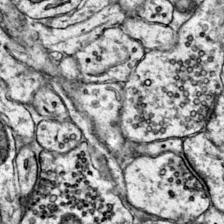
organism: Mouse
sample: Primary visual cortex